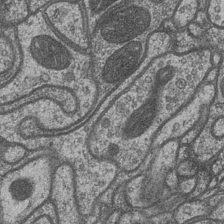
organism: Drosophila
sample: Optic medulla